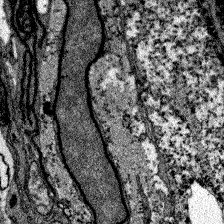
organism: Zebrafish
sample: Larval olfactory bulb